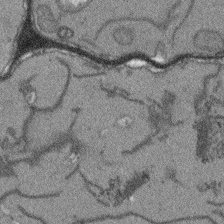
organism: Arabidopsis thaliana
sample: Root tip